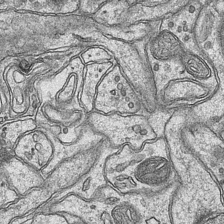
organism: Mouse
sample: CA1 Hippocampus